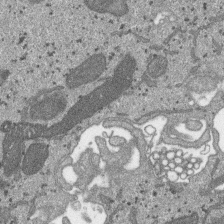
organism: Human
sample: Lung epithelial cells infected with SARS-CoV-2